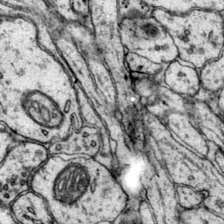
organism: Mouse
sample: Primary visual cortex